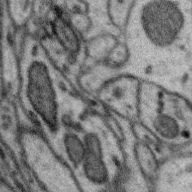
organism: Zebra finch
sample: Brain